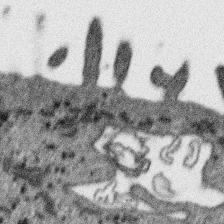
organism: Human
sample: Lung epithelial cells infected with SARS-CoV-2